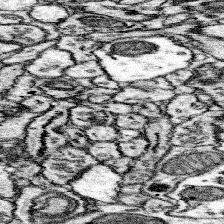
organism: Mouse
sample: Somatosensory cortex neuropil